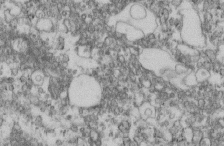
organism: Mouse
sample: Cilia; retinal pigment epithelium